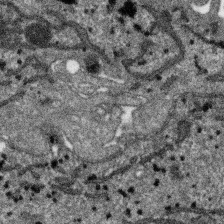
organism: Human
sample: Lung epithelial cells infected with SARS-CoV-2